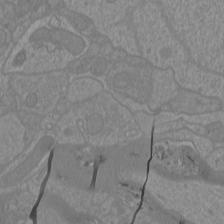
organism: Mouse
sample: Cortical neurons